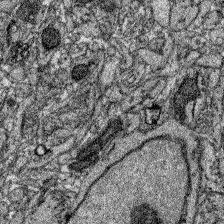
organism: Zebrafish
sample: Larval olfactory bulb